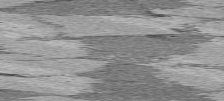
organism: C57BL Mouse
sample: Heart